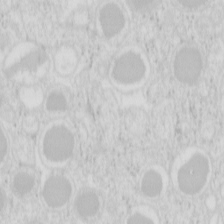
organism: Mouse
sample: Pancreas